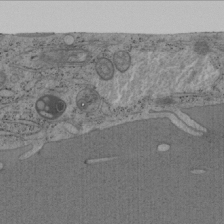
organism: Human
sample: HeLa cells